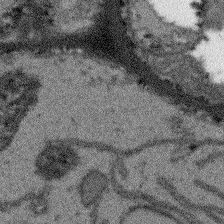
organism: Arabidopsis thaliana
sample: Root tip